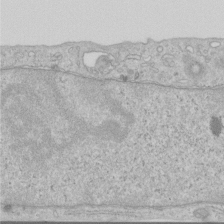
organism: Human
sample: Centriole in RPE cells